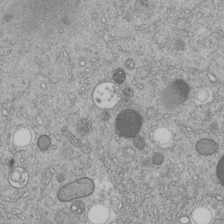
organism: C. elegans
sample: C. elegans embryo early stage